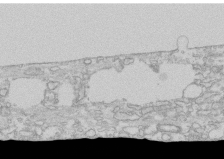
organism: Human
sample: CRL-1474